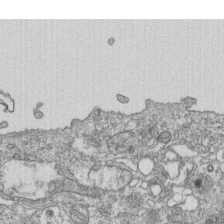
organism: Human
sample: HeLa cell HIV synapse